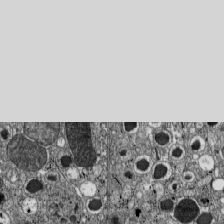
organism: C57BL Mouse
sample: Pancreatic islet